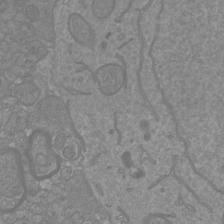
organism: Mouse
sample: Cortical neurons